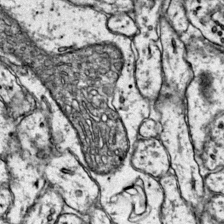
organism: Mouse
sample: Primary visual cortex